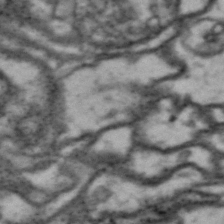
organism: Drosophila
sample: Brain